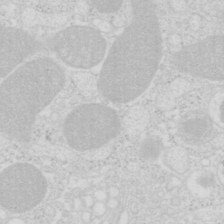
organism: Mouse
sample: Pancreas